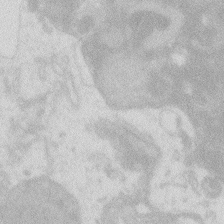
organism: Zebrafish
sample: Macrophage